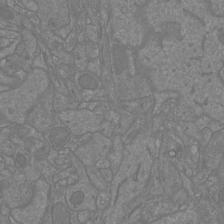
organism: Mouse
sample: Cortical neurons